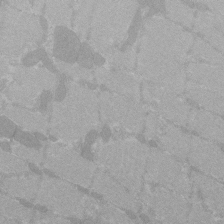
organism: C57BL Mouse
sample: Tibialis anterior muscle cell